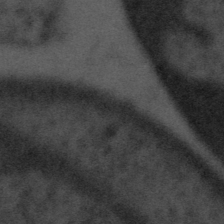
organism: Tuwongella immobilis